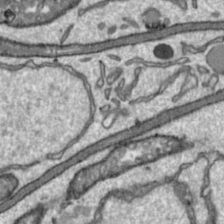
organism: Toxoplasma gondii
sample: Parasites in a vacuole inside a host cell